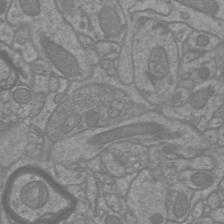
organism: Mouse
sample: Cortical neurons